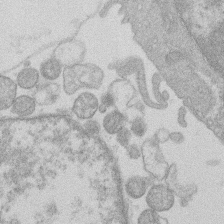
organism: Human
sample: Macrophage cells